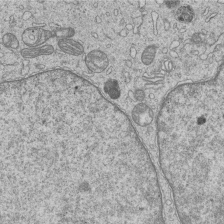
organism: Human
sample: MDA-MB-231 cells